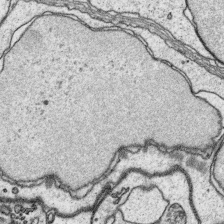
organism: Platynereis dumerilii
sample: Parapodia